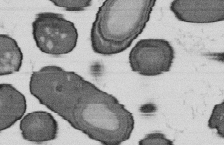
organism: B. subtilis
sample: Bacterial spore